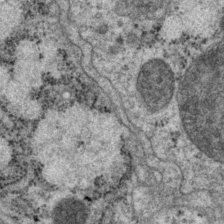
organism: P. pacificus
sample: Pharynx